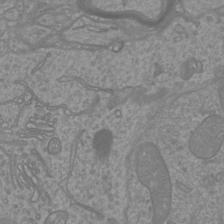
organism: Mouse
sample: Cortical neurons